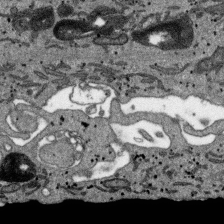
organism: Human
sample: Lung epithelial cells, uninfected (mock) control